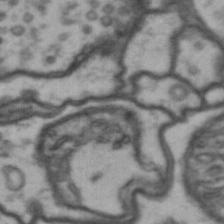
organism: Drosophila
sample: Brain